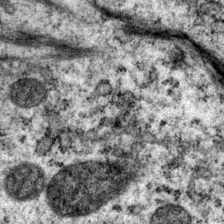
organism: P. pacificus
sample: Pharynx